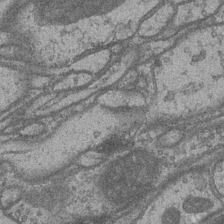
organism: Drosophila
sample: Optic medulla